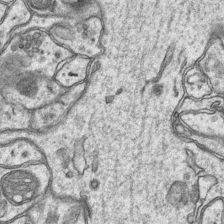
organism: Mouse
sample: CA1 Hippocampus